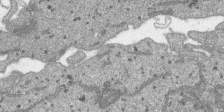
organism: Human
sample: Lung epithelial cells infected with SARS-CoV-2